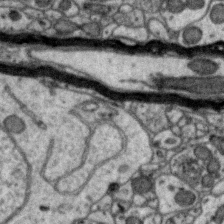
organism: Zebra finch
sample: Brain